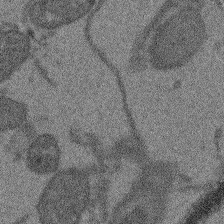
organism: Arabidopsis thaliana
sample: Root tip